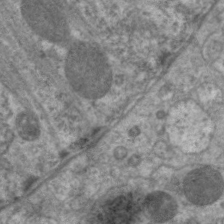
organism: C. elegans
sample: Pharynx